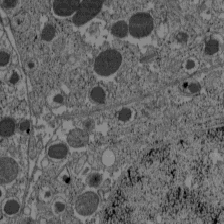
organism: C57BL Mouse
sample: Pancreatic islet